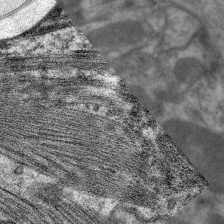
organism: C. elegans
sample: Pharynx